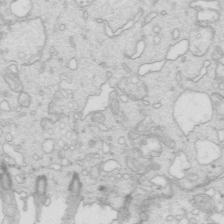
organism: Mouse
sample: Multiciliated cells